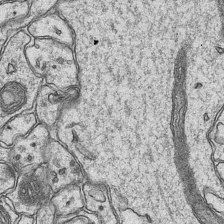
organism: Mouse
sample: CA1 Hippocampus